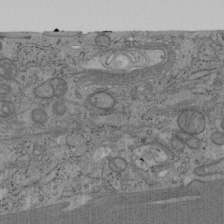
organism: Human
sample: HeLa cells